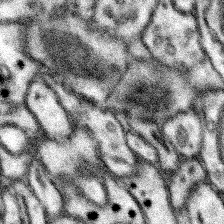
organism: Mouse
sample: Somatosensory cortex neuropil